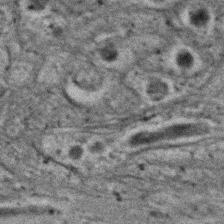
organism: C. elegans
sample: C. elegans embryo